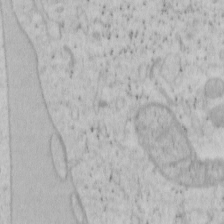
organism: Human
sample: HeLa cells